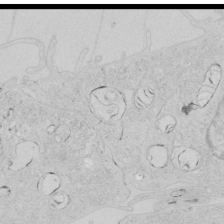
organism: Human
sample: Mitochondria in HCT116 cells